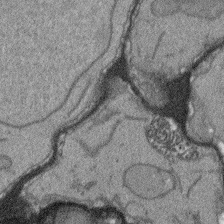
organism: Arabidopsis thaliana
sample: Root tip